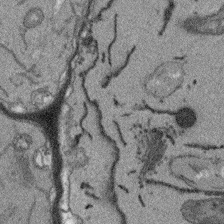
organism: Arabidopsis thaliana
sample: Root tip